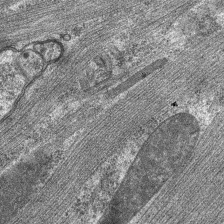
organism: C. elegans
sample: Pharynx